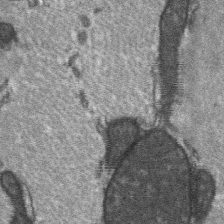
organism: C57BL Mouse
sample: Soleus